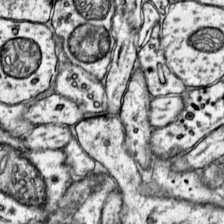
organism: Mouse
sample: Primary visual cortex